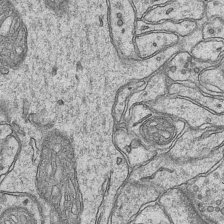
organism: Mouse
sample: CA1 Hippocampus